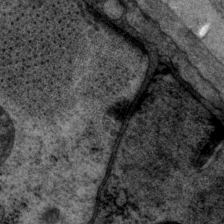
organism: P. pacificus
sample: Pharynx